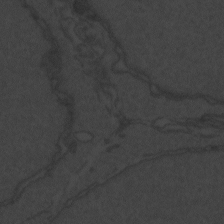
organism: Zebrafish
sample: Macrophage infected with Toxoplasma gondii